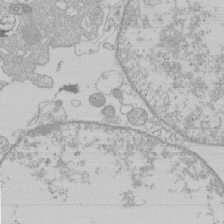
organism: Human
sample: Macrophage cells